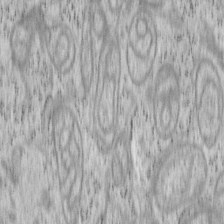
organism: Human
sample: HeLa cells